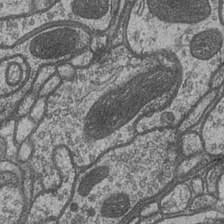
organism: Drosophila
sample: Optic medulla